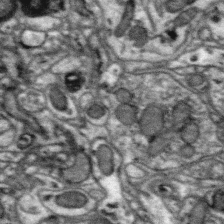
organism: Zebra finch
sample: Brain